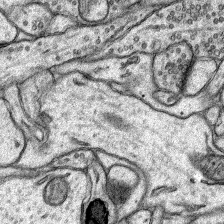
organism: Rat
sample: Hippocampus